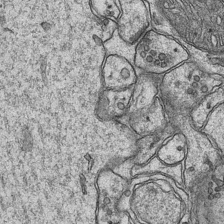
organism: Mouse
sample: CA1 Hippocampus